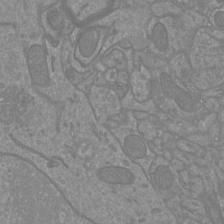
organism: Mouse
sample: Cortical neurons